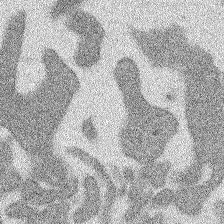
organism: Human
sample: HeLa cells